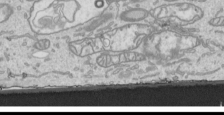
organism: Human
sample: Mitochondria in HCT116 cells